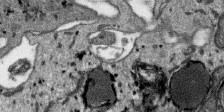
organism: Human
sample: Lung epithelial cells, uninfected (mock) control